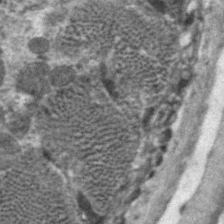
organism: C. elegans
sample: Pharynx